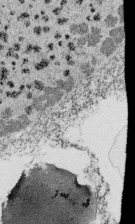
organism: Tetrahymena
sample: Cilia in tetrahymena